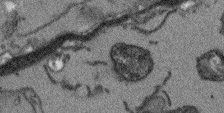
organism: Arabidopsis thaliana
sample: Root tip